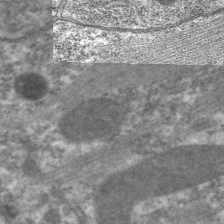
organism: C. elegans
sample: Pharynx